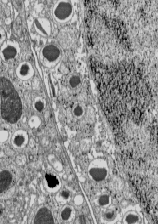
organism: C57BL Mouse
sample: Pancreatic islet